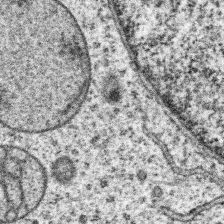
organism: Human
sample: HeLa cells